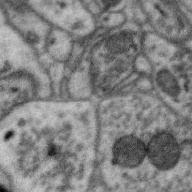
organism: Zebra finch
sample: Brain